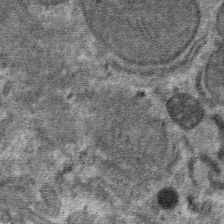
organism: Mouse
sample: Mouse hepatocytes